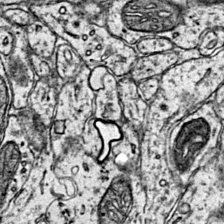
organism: Mouse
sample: Primary visual cortex